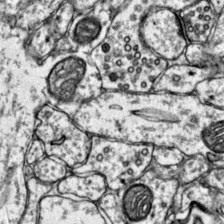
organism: Mouse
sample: Primary visual cortex